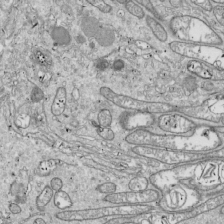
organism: Drosophila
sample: Cell division; meiosis; drosophila spermatocytes